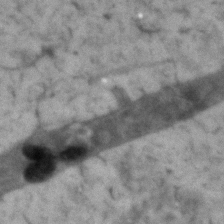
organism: Human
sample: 1205lu cells